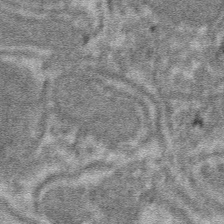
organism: Mouse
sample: Mouse hepatocytes